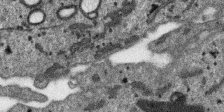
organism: Human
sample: Lung epithelial cells infected with SARS-CoV-2